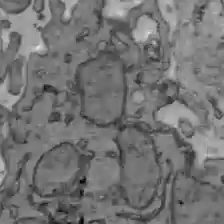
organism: C57BL Mouse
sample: Liver